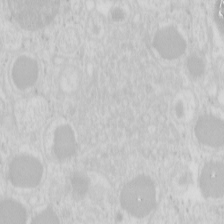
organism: Mouse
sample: Pancreas